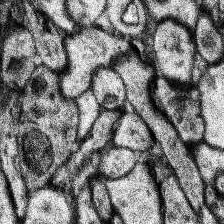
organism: Human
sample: Temporal Lobe